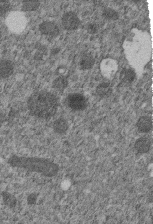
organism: C. elegans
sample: C. elegans embryo early stage